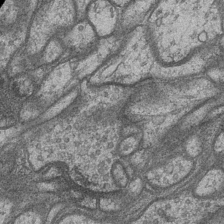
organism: Drosophila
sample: Optic medulla